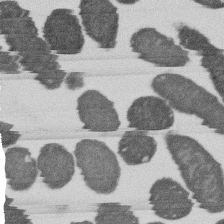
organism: E. coli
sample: Bacterial nucleoid